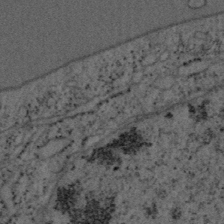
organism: Human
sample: HeLa cells